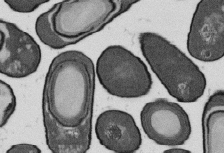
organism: B. subtilis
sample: Bacterial spore